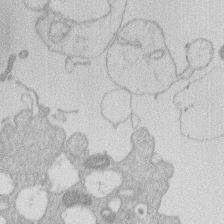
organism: Human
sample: Macrophage cells